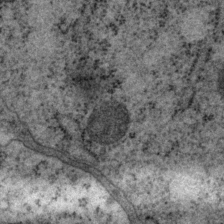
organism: P. pacificus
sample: Pharynx